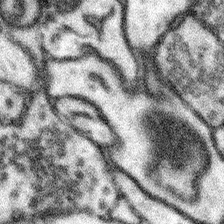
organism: Mouse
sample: Somatosensory cortex neuropil